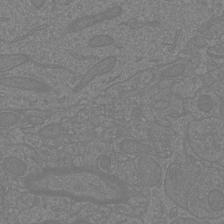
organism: Mouse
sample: Cortical neurons